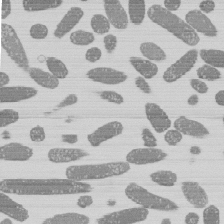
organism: E. coli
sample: Bacterial nucleoid